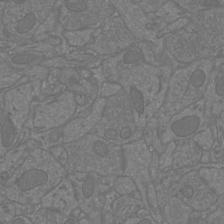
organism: Mouse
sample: Cortical neurons